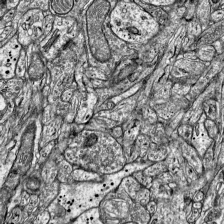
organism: Mouse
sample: Visual Cortex